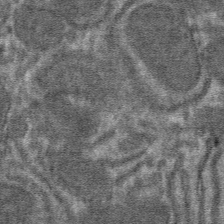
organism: Mouse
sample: Mouse hepatocytes